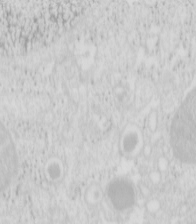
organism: Mouse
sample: Pancreas